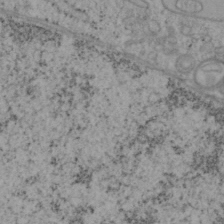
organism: Human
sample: HeLa cells